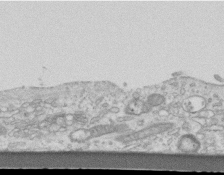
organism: Mouse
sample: Centriole in ependymal cells